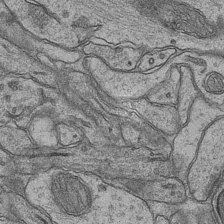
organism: Mouse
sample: CA1 Hippocampus